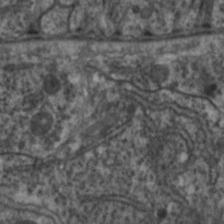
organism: C. elegans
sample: Pharynx